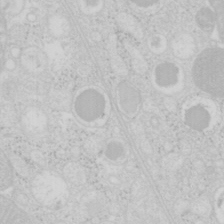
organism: Mouse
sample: Pancreas